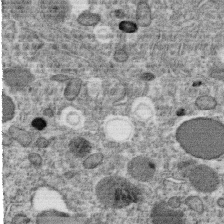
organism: C. elegans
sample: C. elegans oocyte; sperm cells